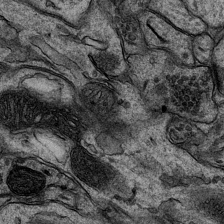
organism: Mouse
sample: CA1 Hippocampus